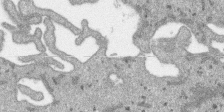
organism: Human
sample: Lung epithelial cells infected with SARS-CoV-2